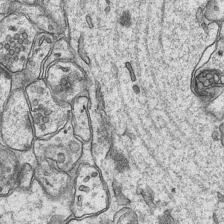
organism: Mouse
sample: CA1 Hippocampus